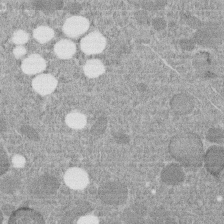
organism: C. elegans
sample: C. elegans embryo early stage